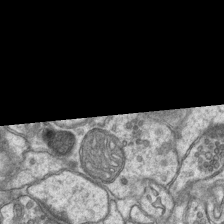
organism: Mouse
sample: CA1 Hippocampus